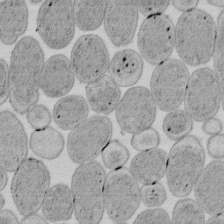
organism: E. coli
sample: Bacterial nucleoid